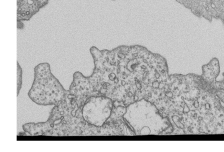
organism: Human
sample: MDA-MB-231 cells